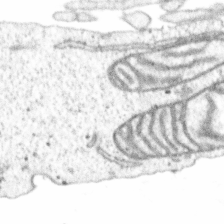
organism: Human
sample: HeLa cells